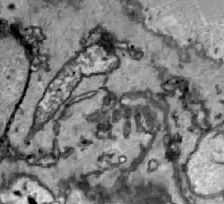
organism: Zebrafish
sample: Actinotrichia fibers